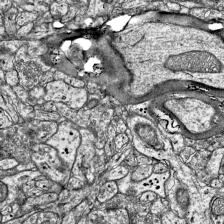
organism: Mouse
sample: Visual Cortex